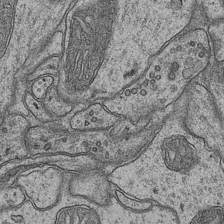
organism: Mouse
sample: CA1 Hippocampus